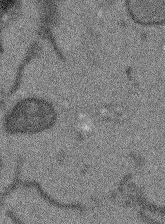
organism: Arabidopsis thaliana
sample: Root tip